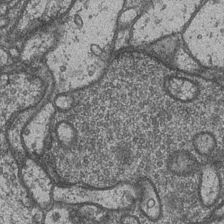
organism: Drosophila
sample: Optic medulla